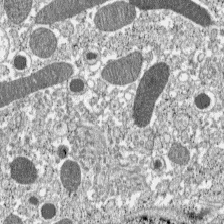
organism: C57BL Mouse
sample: Pancreatic islet